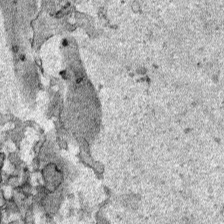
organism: Human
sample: Mitochondria in HCT116 cells